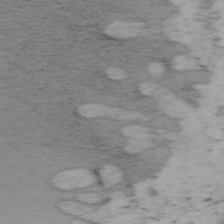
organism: Mouse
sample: OT-I killer T cells with ID8 ovarian cancer cells